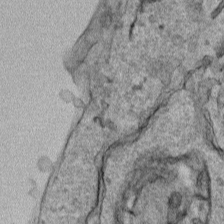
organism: Human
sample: Mitochondria in HCT116 cells